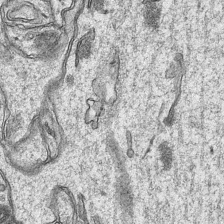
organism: Mouse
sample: CA1 Hippocampus